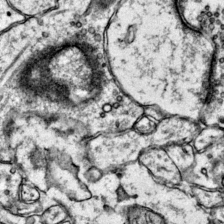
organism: Mouse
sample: Primary visual cortex